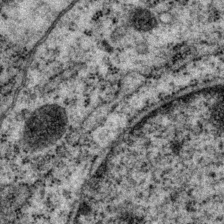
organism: P. pacificus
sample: Pharynx